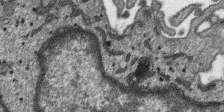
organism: Human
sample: Lung epithelial cells infected with SARS-CoV-2